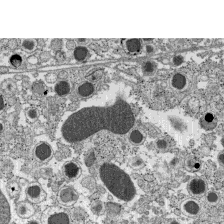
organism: C57BL Mouse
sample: Pancreatic islet